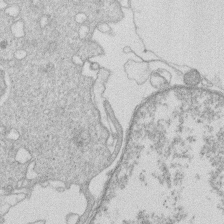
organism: Human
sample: Macrophage cells